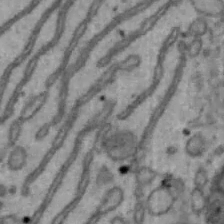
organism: Mouse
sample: Liver